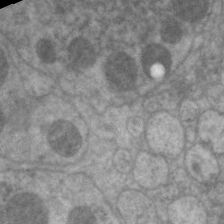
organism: C. elegans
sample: Pharynx